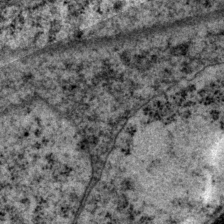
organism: P. pacificus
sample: Pharynx